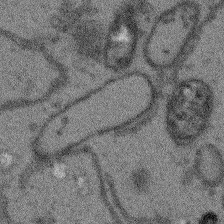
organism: Arabidopsis thaliana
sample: Root tip